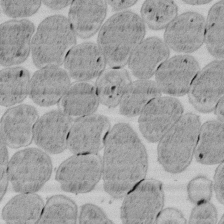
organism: E. coli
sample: Bacterial nucleoid